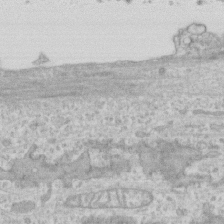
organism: Human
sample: CRL-1474